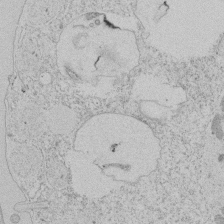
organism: Tetrahymena